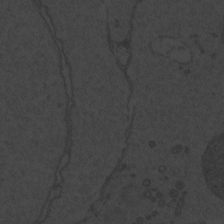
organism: Zebrafish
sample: Macrophage infected with Toxoplasma gondii